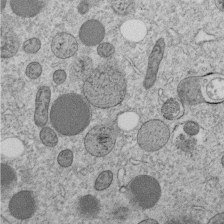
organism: C. elegans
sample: C. elegans embryo early stage